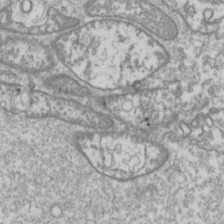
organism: Drosophila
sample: Cell division; meiosis; drosophila spermatocytes